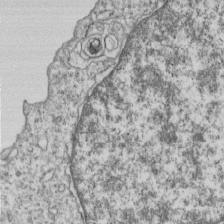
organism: Human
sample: MDA-MB-231 cells